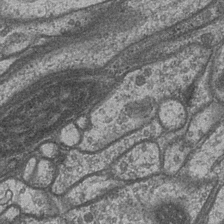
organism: Drosophila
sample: Optic medulla